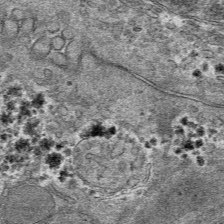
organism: Mouse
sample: Mouse hepatocytes